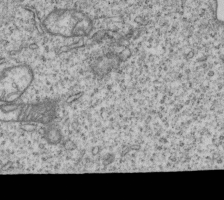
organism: Human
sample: MDA-MB-231 cells